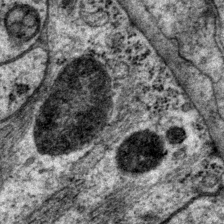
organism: P. pacificus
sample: Pharynx